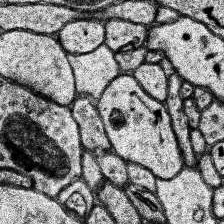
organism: Human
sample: Temporal Lobe